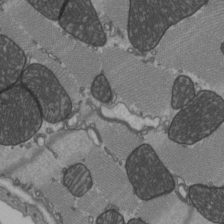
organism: C57BL Mouse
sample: Heart